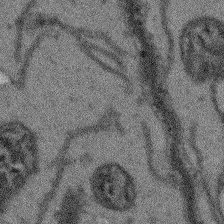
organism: Arabidopsis thaliana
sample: Root tip